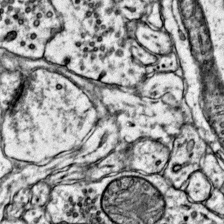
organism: Mouse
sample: Primary visual cortex